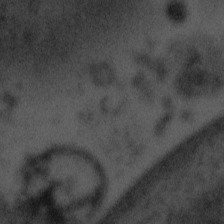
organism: Tuwongella immobilis